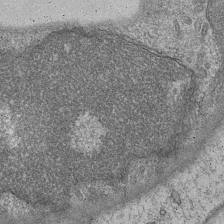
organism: Mouse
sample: CA1 Hippocampus